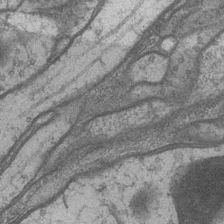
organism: Drosophila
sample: Optic medulla